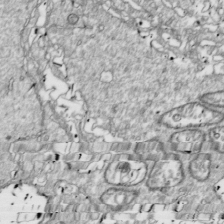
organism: Drosophila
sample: Cell division; meiosis; drosophila spermatocytes